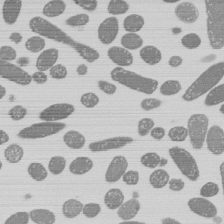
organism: E. coli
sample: Bacterial nucleoid